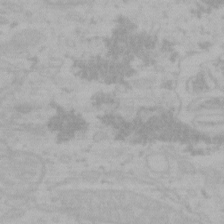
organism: Mouse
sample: Choroid plexus